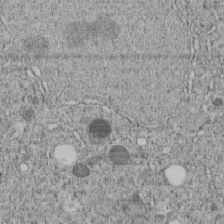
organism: C. elegans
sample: C. elegans embryo early stage